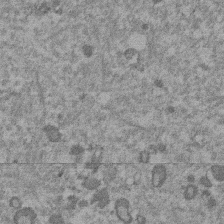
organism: Mouse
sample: Dividing mouse embryo 1 cell stage